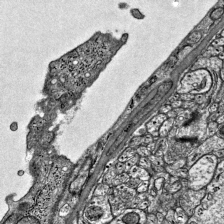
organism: Mouse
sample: Visual Cortex